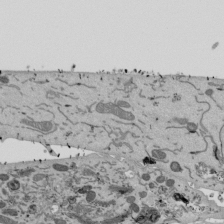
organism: Mouse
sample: ED-1 cell nuclei; centrioles